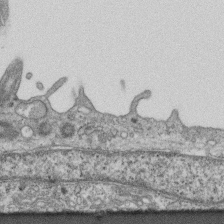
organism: Mouse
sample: Centriole in ependymal cells